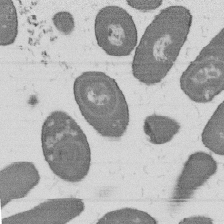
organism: B. subtilis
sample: Bacterial spore